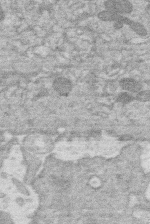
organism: Human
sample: Macrophage cells